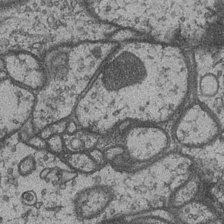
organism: Drosophila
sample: Optic medulla